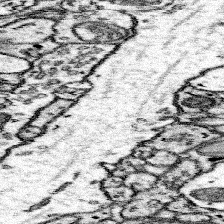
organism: Mouse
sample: Somatosensory cortex neuropil